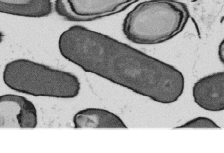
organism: B. subtilis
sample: Bacterial spore